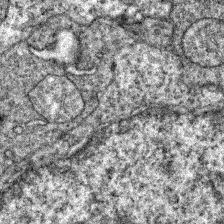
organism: Zebrafish